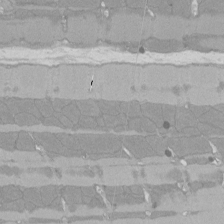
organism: Rat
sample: Left ventricle